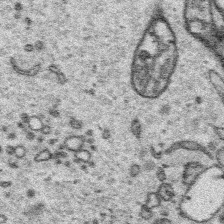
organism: Platynereis dumerilii